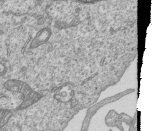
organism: Human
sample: MDA-MB-231 cells